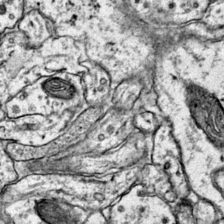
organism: Mouse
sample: Primary visual cortex